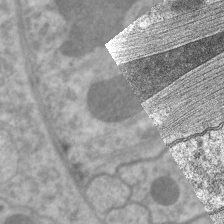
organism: C. elegans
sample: Pharynx